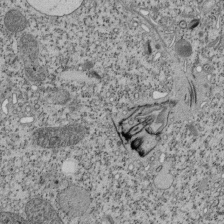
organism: Tetrahymena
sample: Cilia in tetrahymena